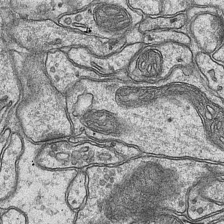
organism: Mouse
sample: CA1 Hippocampus